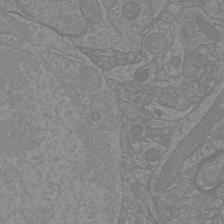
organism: Mouse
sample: Cortical neurons